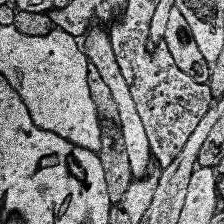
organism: Human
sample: Temporal Lobe